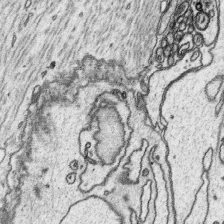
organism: Platynereis dumerilii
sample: Parapodia